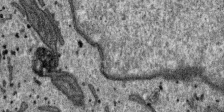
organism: Human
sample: Lung epithelial cells, uninfected (mock) control